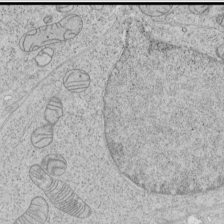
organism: Human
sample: Mitochondria in HCT116 cells